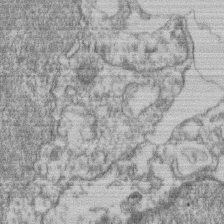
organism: Mouse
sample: T cell stromal cell synapse